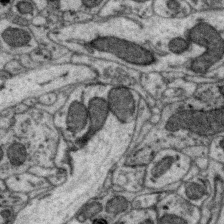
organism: Zebra finch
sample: Brain